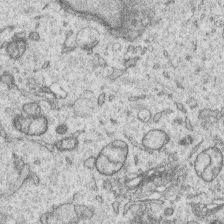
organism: Human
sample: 1205lu cells